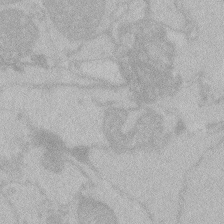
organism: Zebrafish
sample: Macrophage infected with Toxoplasma gondii